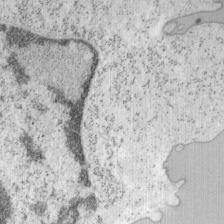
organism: Mouse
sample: OT-I killer T cells with ID8 ovarian cancer cells